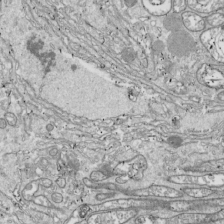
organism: Drosophila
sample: Cell division; meiosis; drosophila spermatocytes